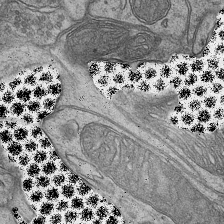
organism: Mouse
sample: CA1 Hippocampus